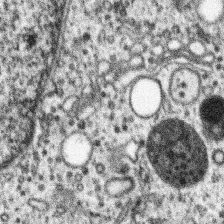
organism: Human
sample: HeLa cells